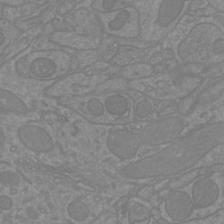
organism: Mouse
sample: Cortical neurons